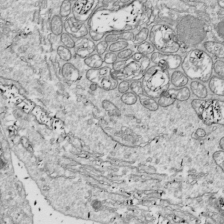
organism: Drosophila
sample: Cell division; meiosis; drosophila spermatocytes